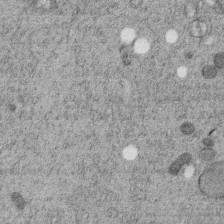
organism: C. elegans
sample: C. elegans embryo early stage